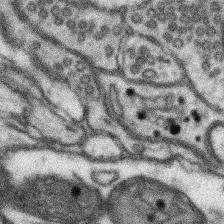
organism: Mouse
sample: Somatosensory cortex neuropil